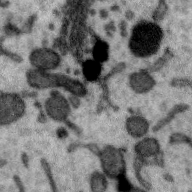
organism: Zebra finch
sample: Brain